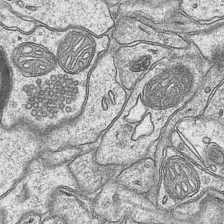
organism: Mouse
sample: CA1 Hippocampus